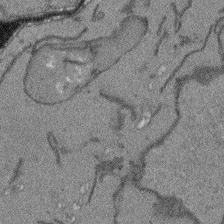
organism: Arabidopsis thaliana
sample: Root tip